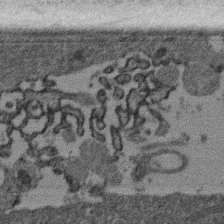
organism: Mouse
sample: Dividing mouse embryo 1 cell stage